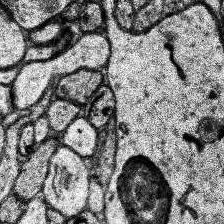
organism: Human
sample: Temporal Lobe